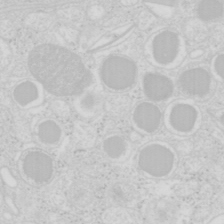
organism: Mouse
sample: Pancreas